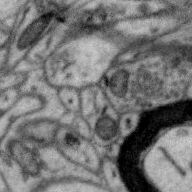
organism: Zebra finch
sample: Brain